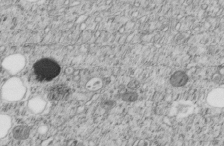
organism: C. elegans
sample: C. elegans embryo early stage